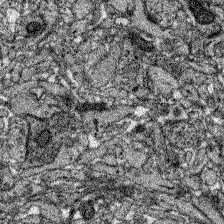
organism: Zebrafish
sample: Larval olfactory bulb